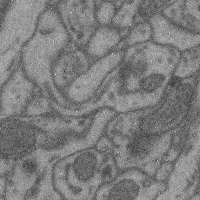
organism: Mouse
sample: Cerebral cortex